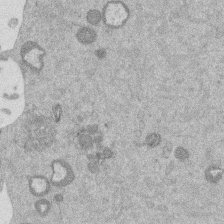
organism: Mouse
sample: Dividing mouse embryo 1 cell stage